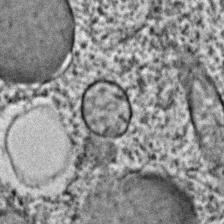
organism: C. elegans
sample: C. elegans embryo